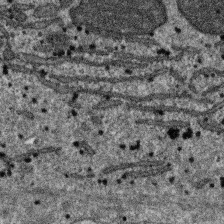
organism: Human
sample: Lung epithelial cells infected with SARS-CoV-2